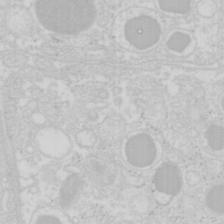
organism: Mouse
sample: Pancreas